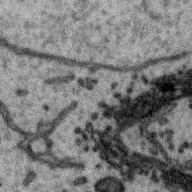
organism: Zebra finch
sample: Brain